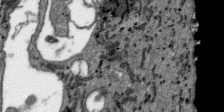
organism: Human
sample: Lung epithelial cells, uninfected (mock) control